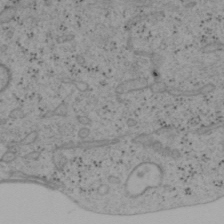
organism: Human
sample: HeLa cells